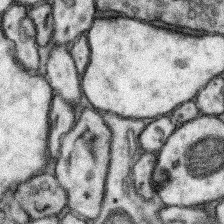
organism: Mouse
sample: Somatosensory cortex neuropil